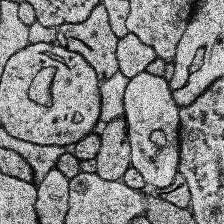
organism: Human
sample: Temporal Lobe